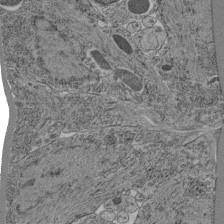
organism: C. elegans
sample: C. elegans pharynx